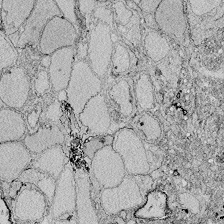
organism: Zebrafish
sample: Whole-Brain